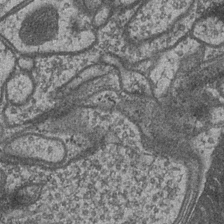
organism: Drosophila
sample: Optic medulla